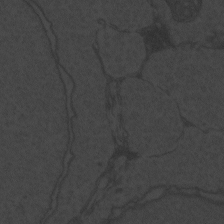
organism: Zebrafish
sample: Macrophage infected with Toxoplasma gondii